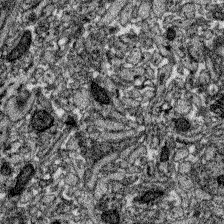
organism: Zebrafish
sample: Larval olfactory bulb